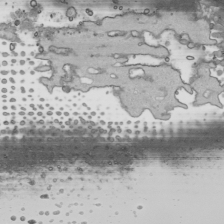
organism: Human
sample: Mitochondria in HCT116 cells